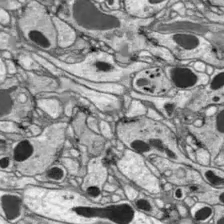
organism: Drosophila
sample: Optic lobe